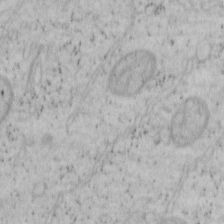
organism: Human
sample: HeLa cells